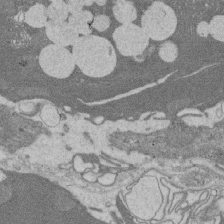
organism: Rat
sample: Salivary granule